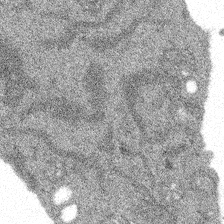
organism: Spongilla lacustris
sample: Multiple